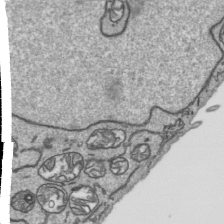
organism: Human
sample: Mitochondria in HCT116 cells